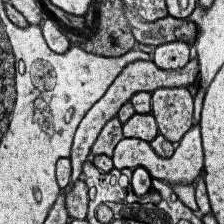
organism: Human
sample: Temporal Lobe